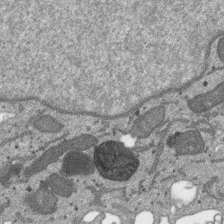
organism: Human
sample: Lung epithelial cells infected with SARS-CoV-2